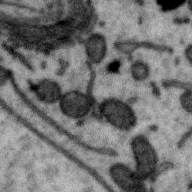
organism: Zebra finch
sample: Brain